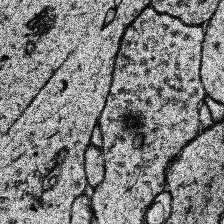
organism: Human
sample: Temporal Lobe